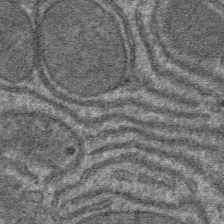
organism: Mouse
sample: Mouse hepatocytes